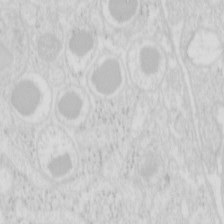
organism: Mouse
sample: Pancreas